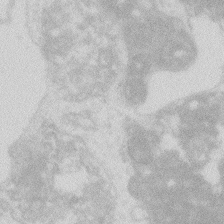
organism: Zebrafish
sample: Macrophage